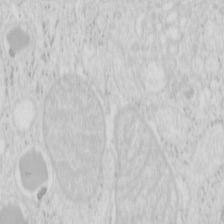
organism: Mouse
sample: Pancreas